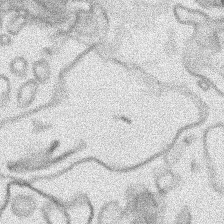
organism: Human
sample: Mitochondria in HCT116 cells